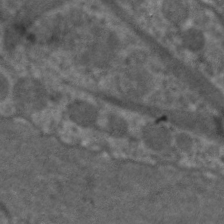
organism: C. elegans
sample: Pharynx